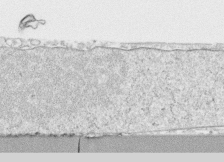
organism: Human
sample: CRL-1474